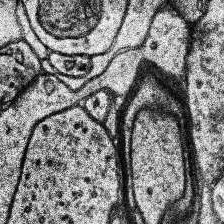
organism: Human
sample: Temporal Lobe